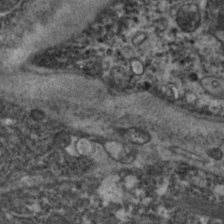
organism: Zebrafish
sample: Zebrafish embryo